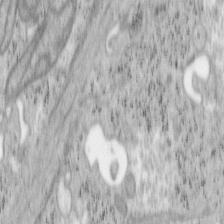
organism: Human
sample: HeLa cells